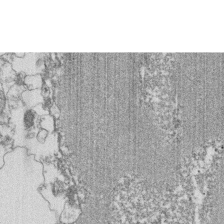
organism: Human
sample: HeLa cell HIV synapse